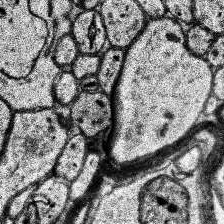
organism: Human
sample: Temporal Lobe